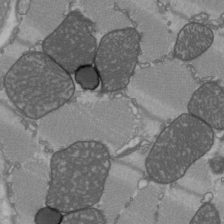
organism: C57BL Mouse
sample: Heart